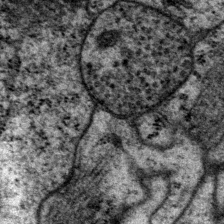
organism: P. pacificus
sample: Pharynx